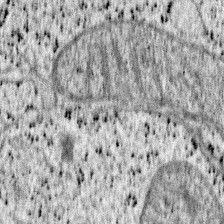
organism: Human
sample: HeLa cells